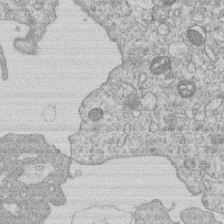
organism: Human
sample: Macrophage cells